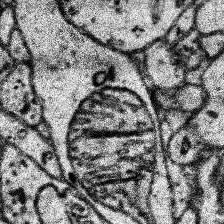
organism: Human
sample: Temporal Lobe